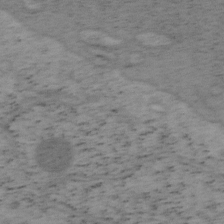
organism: Mouse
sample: OT-I killer T cells with ID8 ovarian cancer cells